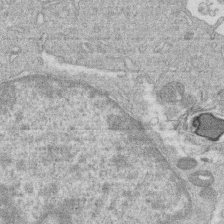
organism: Human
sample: Macrophage cells